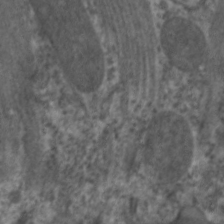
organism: C. elegans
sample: Pharynx